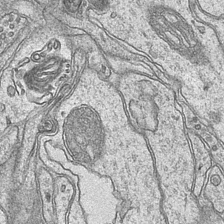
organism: Mouse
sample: CA1 Hippocampus